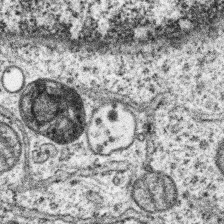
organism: Human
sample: HeLa cells